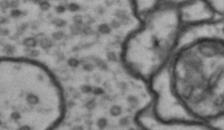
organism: Drosophila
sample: Brain